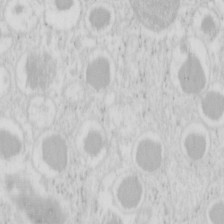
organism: Mouse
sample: Pancreas